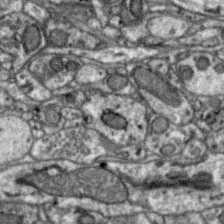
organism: Zebra finch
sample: Brain